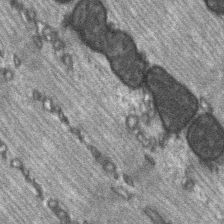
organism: C57BL Mouse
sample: Soleus